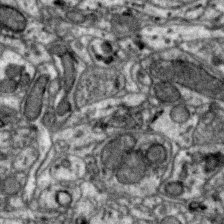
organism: Zebra finch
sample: Brain